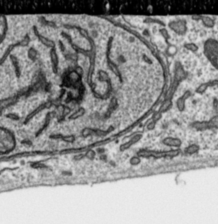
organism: Toxoplasma gondii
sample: Parasites in a vacuole inside a host cell